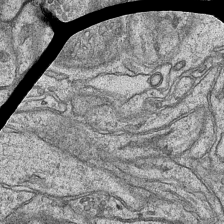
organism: Mouse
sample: CA1 Hippocampus